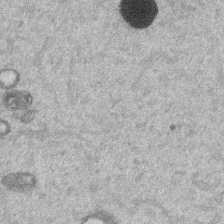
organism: Mouse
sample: Dividing mouse embryo 1 cell stage